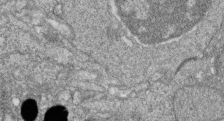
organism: Zebrafish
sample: Cilia; retinal pigment epithelium